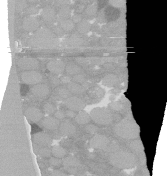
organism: C. elegans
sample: C. elegans oocyte; sperm cells